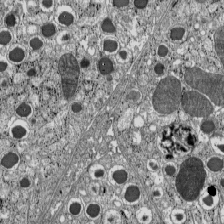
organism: C57BL Mouse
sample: Pancreatic islet